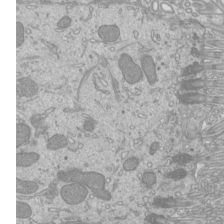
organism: Mouse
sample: Cilia; mouse epididymis